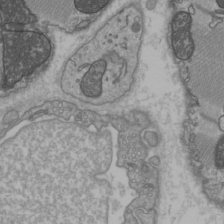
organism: C57BL Mouse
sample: Heart